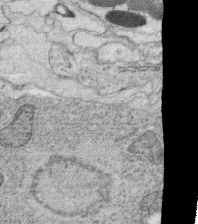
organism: C. elegans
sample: C. elegans oocyte; sperm cells